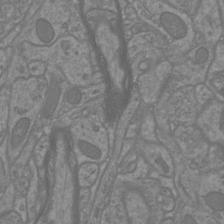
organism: Mouse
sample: Cortical neurons